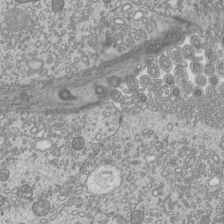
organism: Mouse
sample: Cilia; mouse epididymis